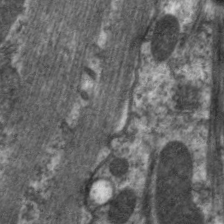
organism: C. elegans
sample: Pharynx